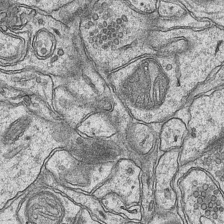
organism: Mouse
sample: CA1 Hippocampus